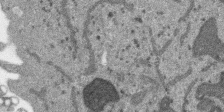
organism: Human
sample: Lung epithelial cells infected with SARS-CoV-2